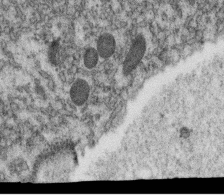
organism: C. elegans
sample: C. elegans oocyte; sperm cells